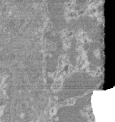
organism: Mouse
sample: Glomerulus